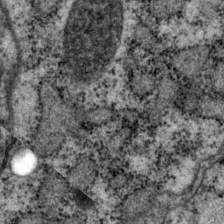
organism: P. pacificus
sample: Pharynx